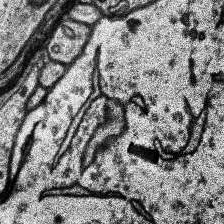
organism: Human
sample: Temporal Lobe